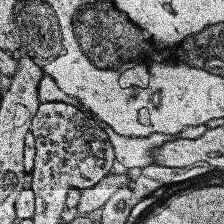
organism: Human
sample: Temporal Lobe